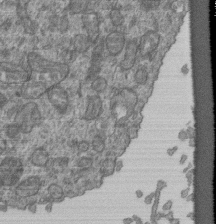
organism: Human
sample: Retinal organoid Rod and Cone cells